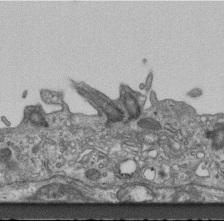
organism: Mouse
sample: Centriole in ependymal cells